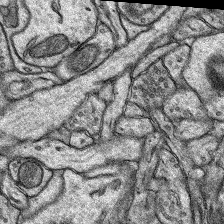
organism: Rat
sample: Hippocampus